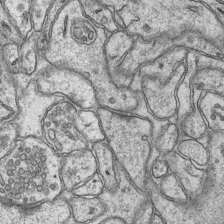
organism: Mouse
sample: CA1 Hippocampus